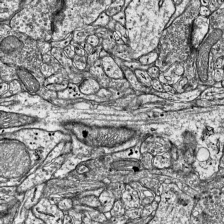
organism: Mouse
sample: Visual Cortex